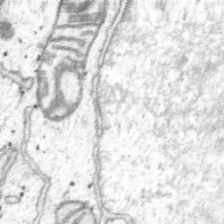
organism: Human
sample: HeLa cells